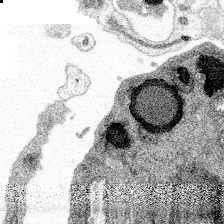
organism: Spongilla lacustris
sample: Multiple